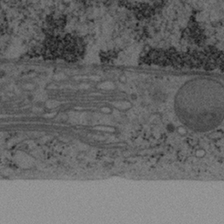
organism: Human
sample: HeLa cells